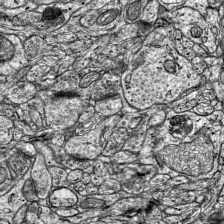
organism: Mouse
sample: Visual Cortex